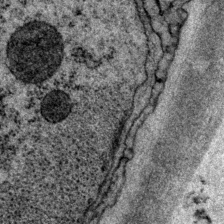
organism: P. pacificus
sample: Pharynx